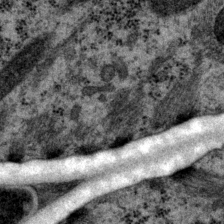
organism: P. pacificus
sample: Pharynx